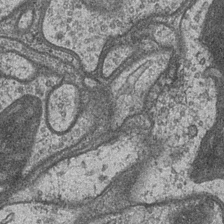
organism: Drosophila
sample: Optic medulla